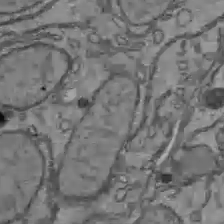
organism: C57BL Mouse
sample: Liver